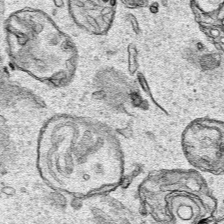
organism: Human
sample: Mitochondria in HCT116 cells